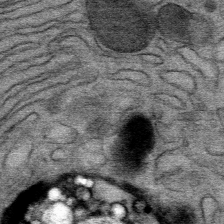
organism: Mouse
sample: Mouse Salivary gland